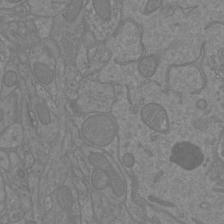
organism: Mouse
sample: Cortical neurons